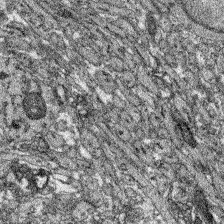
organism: Zebrafish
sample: Larval olfactory bulb